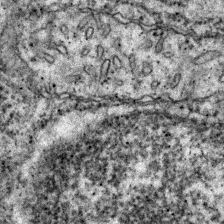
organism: Zebrafish